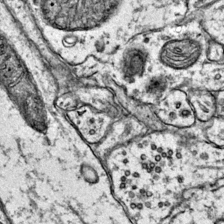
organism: Mouse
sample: Primary visual cortex